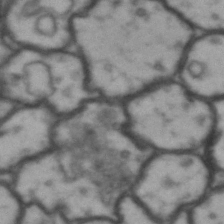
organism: Drosophila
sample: Brain